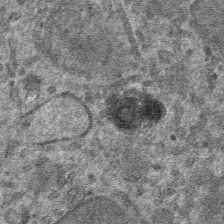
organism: Mouse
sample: Mouse hepatocytes